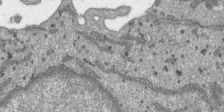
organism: Human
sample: Lung epithelial cells infected with SARS-CoV-2